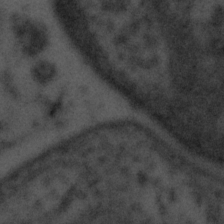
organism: Tuwongella immobilis